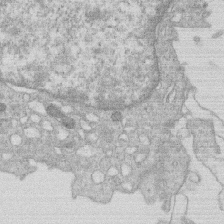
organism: Human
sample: Macrophage cells